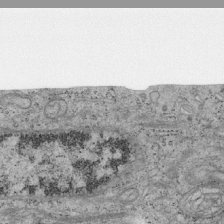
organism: Human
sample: HeLa cells